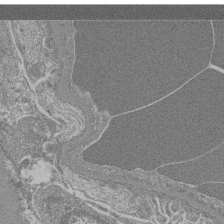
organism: Mouse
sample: Glomerulus